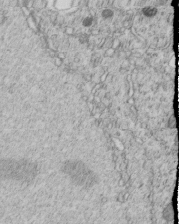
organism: C. elegans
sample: C. elegans embryo early stage